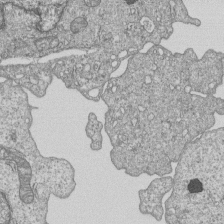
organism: Human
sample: MDA-MB-231 cells